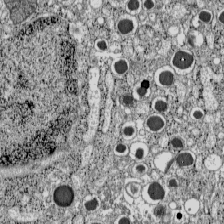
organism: C57BL Mouse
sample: Pancreatic islet